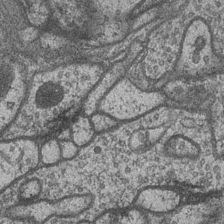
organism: Drosophila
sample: Optic medulla